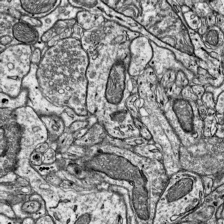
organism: Mouse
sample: Visual Cortex